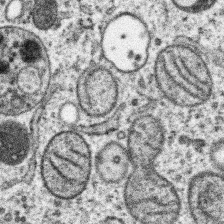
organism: Human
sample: HeLa cells